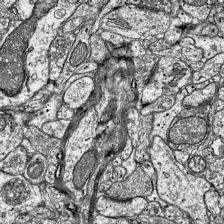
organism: Mouse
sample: Visual Cortex